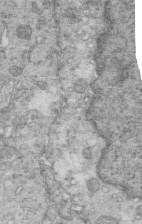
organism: Mouse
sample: Multiciliated cells